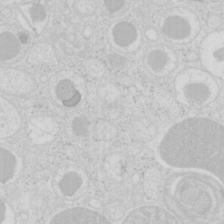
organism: Mouse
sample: Pancreas